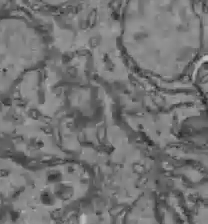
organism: C57BL Mouse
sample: Liver